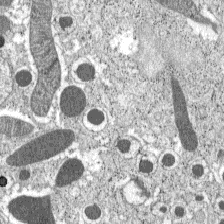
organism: C57BL Mouse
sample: Pancreatic islet